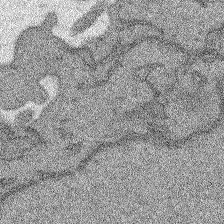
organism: Human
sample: HeLa cells